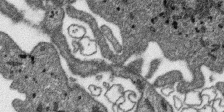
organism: Human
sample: Lung epithelial cells infected with SARS-CoV-2